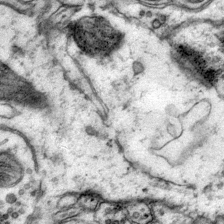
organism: Mouse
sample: Primary visual cortex